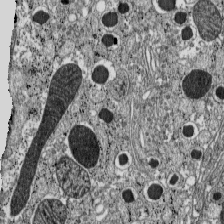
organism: C57BL Mouse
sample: Pancreatic islet